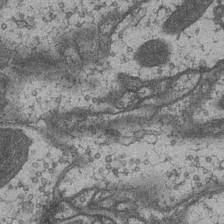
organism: Drosophila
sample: Optic medulla